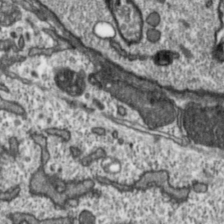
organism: Toxoplasma gondii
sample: Parasites in a vacuole inside a host cell